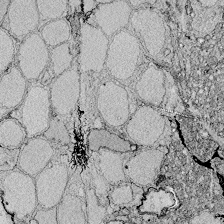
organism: Zebrafish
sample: Whole-Brain